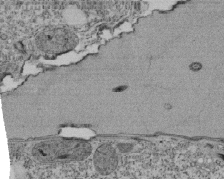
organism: Tetrahymena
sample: Cilia in tetrahymena